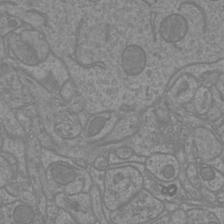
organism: Mouse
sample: Cortical neurons